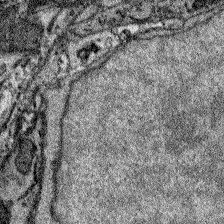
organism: Zebrafish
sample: Larval olfactory bulb